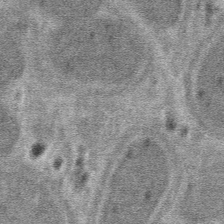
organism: Mouse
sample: Mouse hepatocytes